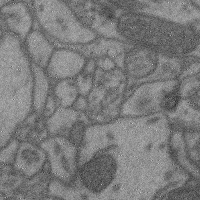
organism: Mouse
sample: Cerebral cortex